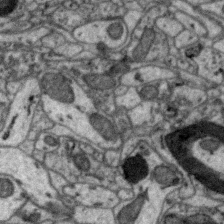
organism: Zebra finch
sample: Brain